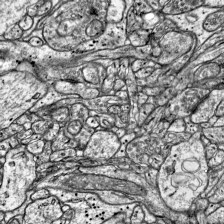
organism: Mouse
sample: Visual Cortex